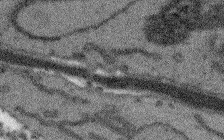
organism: Arabidopsis thaliana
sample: Root tip